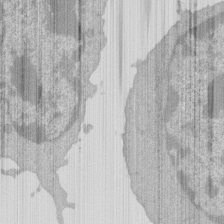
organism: Mouse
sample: Activated Pmel transgenic CD8+ T Cells